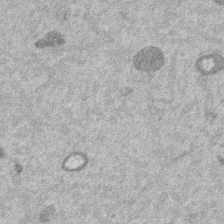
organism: Mouse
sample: Dividing mouse embryo 1 cell stage